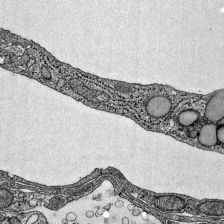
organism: Mouse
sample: Visual Cortex